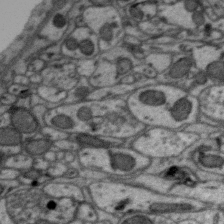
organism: Zebra finch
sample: Brain